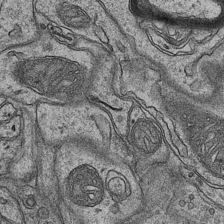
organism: Mouse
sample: CA1 Hippocampus